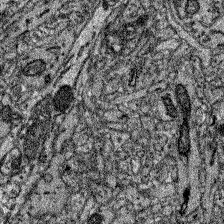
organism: Zebrafish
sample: Larval olfactory bulb